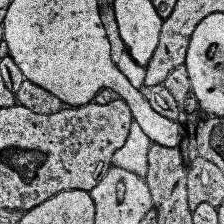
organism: Human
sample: Temporal Lobe